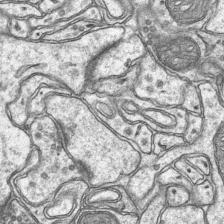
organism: Mouse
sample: CA1 Hippocampus